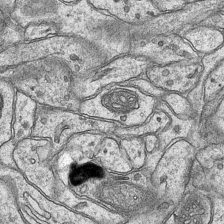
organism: Mouse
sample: CA1 Hippocampus